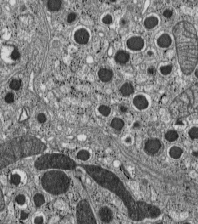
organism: C57BL Mouse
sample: Pancreatic islet